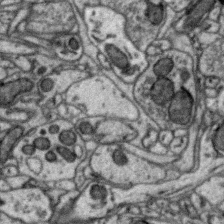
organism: Zebra finch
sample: Brain